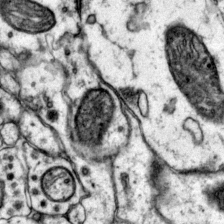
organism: Mouse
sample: Primary visual cortex